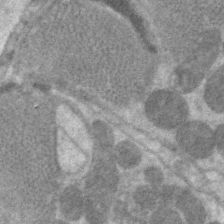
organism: C. elegans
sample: Pharynx